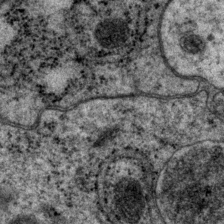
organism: P. pacificus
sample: Pharynx